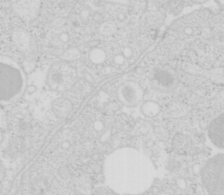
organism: Mouse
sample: Pancreas